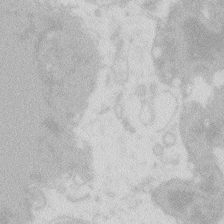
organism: Zebrafish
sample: Macrophage